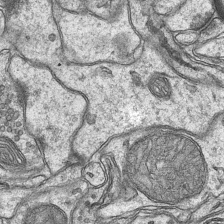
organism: Mouse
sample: CA1 Hippocampus